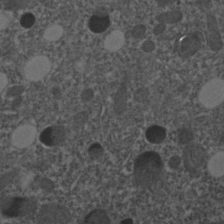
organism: C. elegans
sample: C. elegans embryo